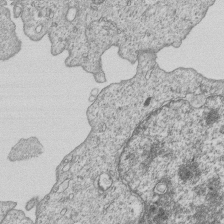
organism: Human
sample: MDA-MB-231 cells